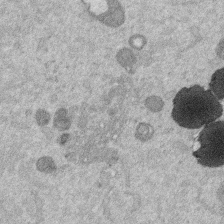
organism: Mouse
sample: Dividing mouse embryo 1 cell stage